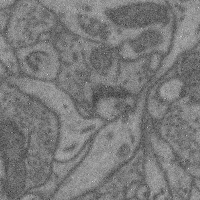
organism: Mouse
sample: Cerebral cortex